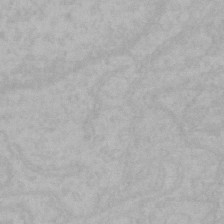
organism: Mouse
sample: Choroid plexus